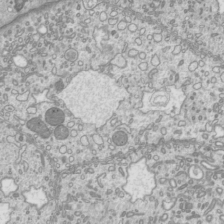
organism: Mouse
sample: Cilia; mouse epididymis